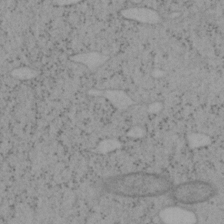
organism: Mouse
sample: OT-I killer T cells with ID8 ovarian cancer cells